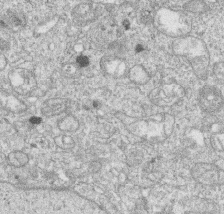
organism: Human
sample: HeLa cell HIV synapse